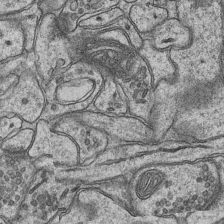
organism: Mouse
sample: CA1 Hippocampus